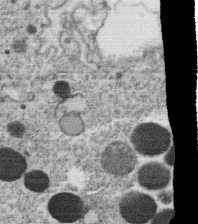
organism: C. elegans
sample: C. elegans oocyte; sperm cells